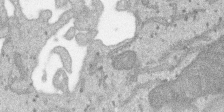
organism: Human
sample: Lung epithelial cells infected with SARS-CoV-2